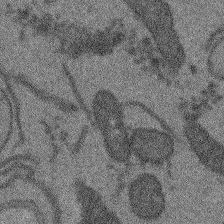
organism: Arabidopsis thaliana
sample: Root tip